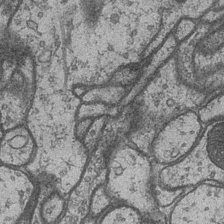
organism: Drosophila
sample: Optic medulla